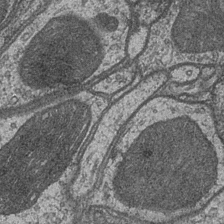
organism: Drosophila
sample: Optic medulla